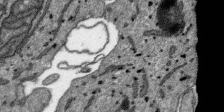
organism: Human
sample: Lung epithelial cells, uninfected (mock) control